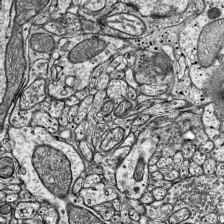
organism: Mouse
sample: Visual Cortex